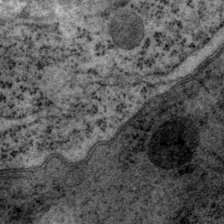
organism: P. pacificus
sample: Pharynx